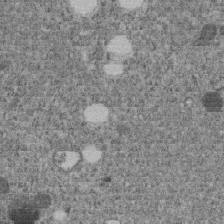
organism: C. elegans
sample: C. elegans embryo early stage